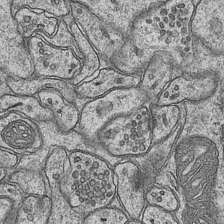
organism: Mouse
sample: CA1 Hippocampus